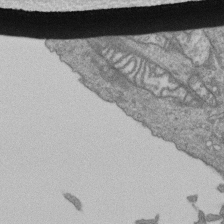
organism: Human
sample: Retinal organoid Rod and Cone cells